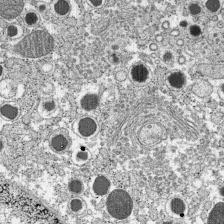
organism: C57BL Mouse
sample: Pancreatic islet